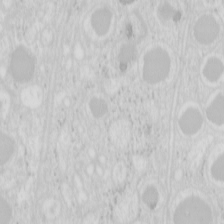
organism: Mouse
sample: Pancreas